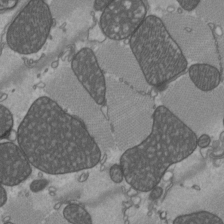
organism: C57BL Mouse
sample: Heart